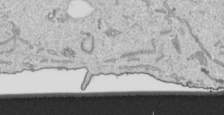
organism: Human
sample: Mitochondria in HCT116 cells